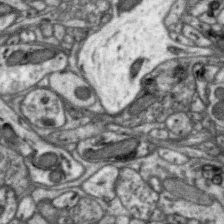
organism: Zebra finch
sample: Brain